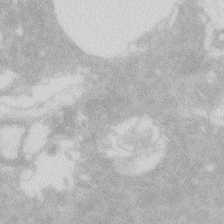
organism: Zebrafish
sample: Macrophage